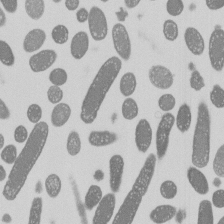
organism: E. coli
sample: Bacterial nucleoid